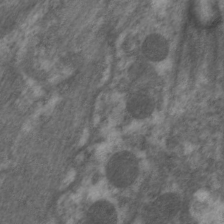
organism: C. elegans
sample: Pharynx